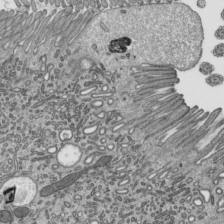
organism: Mouse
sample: Mouse epididymis efferent ductule cilia